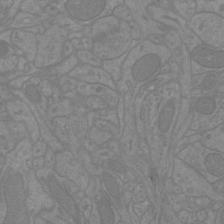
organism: Mouse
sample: Cortical neurons